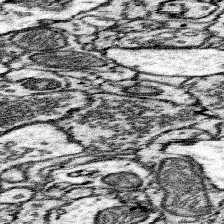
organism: Mouse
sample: Somatosensory cortex neuropil